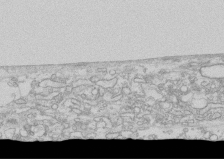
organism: Human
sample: CRL-1474